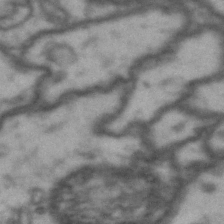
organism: Drosophila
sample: Brain